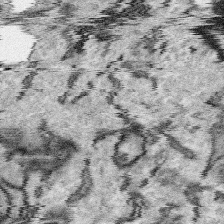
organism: Human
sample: HeLa cells